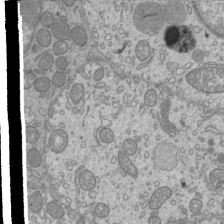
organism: Mouse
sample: Cilia; mouse epididymis